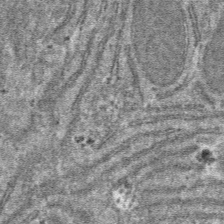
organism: Mouse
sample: Mouse hepatocytes